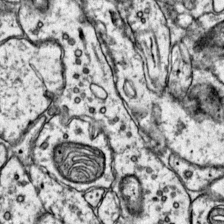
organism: Mouse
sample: Primary visual cortex